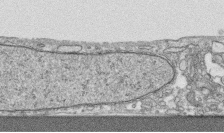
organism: Human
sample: CRL-1474